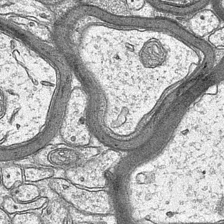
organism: Mouse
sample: CA1 Hippocampus